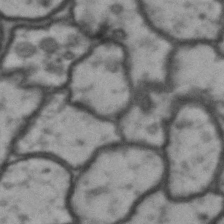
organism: Drosophila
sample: Brain